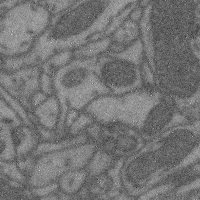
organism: Mouse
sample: Cerebral cortex